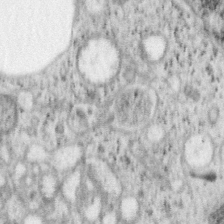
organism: Mouse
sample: OT-I killer T cells with ID8 ovarian cancer cells